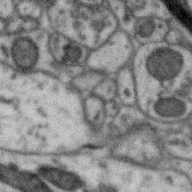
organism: Zebra finch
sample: Brain